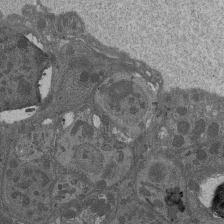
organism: Drosophila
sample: Antenna